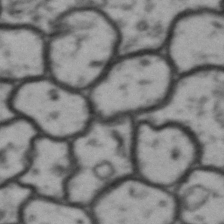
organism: Drosophila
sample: Brain